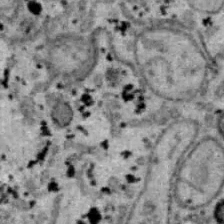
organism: Mouse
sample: Liver from an obese (ob/ob) mouse